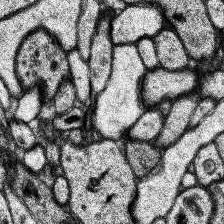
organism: Human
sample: Temporal Lobe